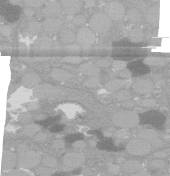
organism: C. elegans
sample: C. elegans oocyte; sperm cells